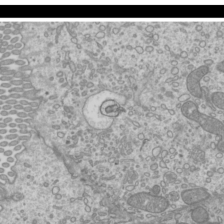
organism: Mouse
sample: Cilia; mouse epididymis